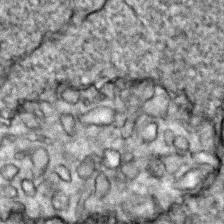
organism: Zebrafish